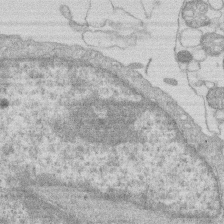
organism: Human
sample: Macrophage cells